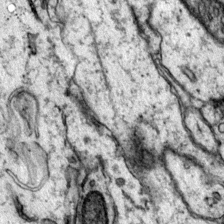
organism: Mouse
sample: Primary visual cortex